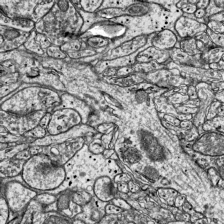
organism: Mouse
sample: Visual Cortex